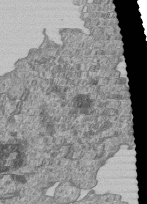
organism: Human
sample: MDA-MB-231 cells